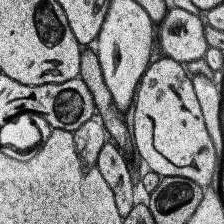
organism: Human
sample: Temporal Lobe